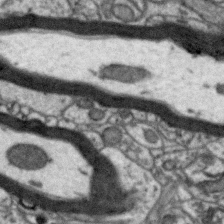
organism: Zebra finch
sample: Brain